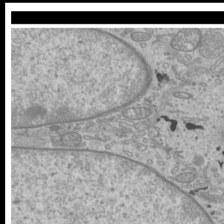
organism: Mouse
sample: Cilia; mouse epididymis